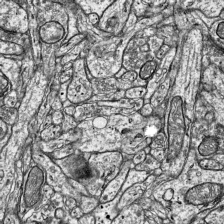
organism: Mouse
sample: Visual Cortex